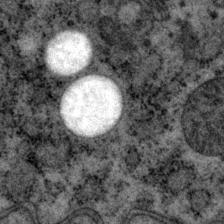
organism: P. pacificus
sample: Pharynx